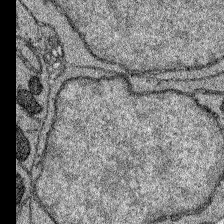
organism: Zebrafish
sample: Larval olfactory bulb